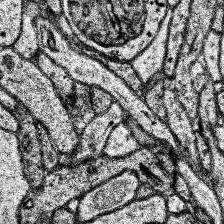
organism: Human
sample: Temporal Lobe